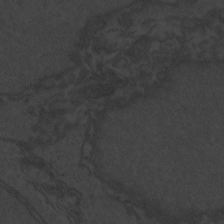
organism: Zebrafish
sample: Macrophage infected with Toxoplasma gondii